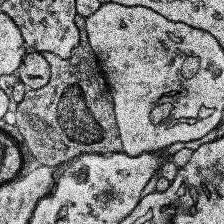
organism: Human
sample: Temporal Lobe